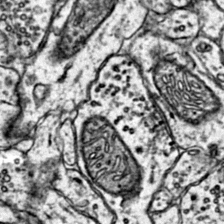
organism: Mouse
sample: Primary visual cortex